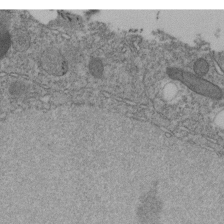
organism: C. elegans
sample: C. elegans embryo early stage